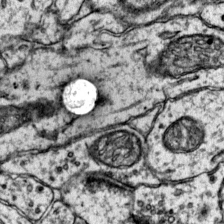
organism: Mouse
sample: Primary visual cortex